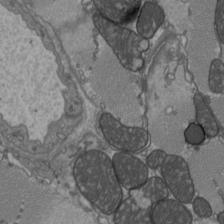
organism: C57BL Mouse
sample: Heart